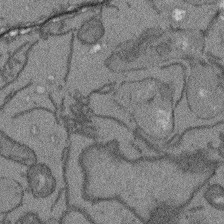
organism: Arabidopsis thaliana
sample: Root tip